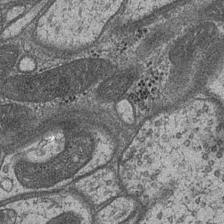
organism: Drosophila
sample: Optic medulla